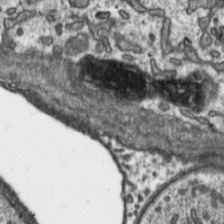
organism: Toxoplasma gondii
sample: Parasites in a vacuole inside a host cell